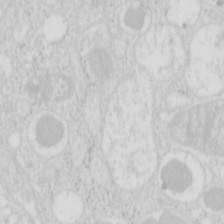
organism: Mouse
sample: Pancreas